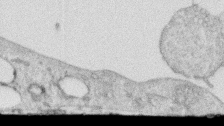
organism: Human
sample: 1205lu cells